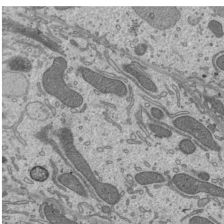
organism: Mouse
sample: Mouse epididymis efferent ductule cilia